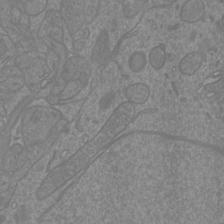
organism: Mouse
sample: Cortical neurons